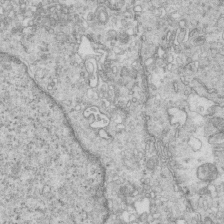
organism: Mouse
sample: Multiciliated cells